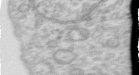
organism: Human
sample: Centriole in RPE cells